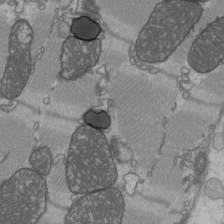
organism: C57BL Mouse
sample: Heart